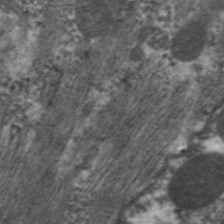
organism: C. elegans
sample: Pharynx